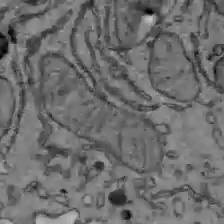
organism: C57BL Mouse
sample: Liver